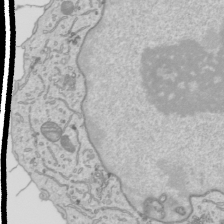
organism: Human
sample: Mitochondria in HCT116 cells